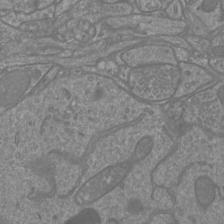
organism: Mouse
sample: Cortical neurons